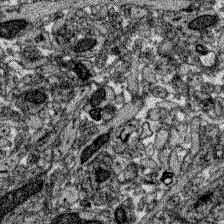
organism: Zebrafish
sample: Larval olfactory bulb